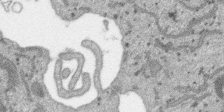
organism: Human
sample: Lung epithelial cells infected with SARS-CoV-2